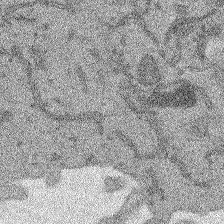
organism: Human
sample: HeLa cells